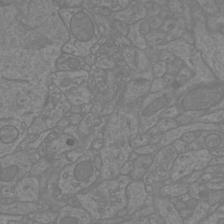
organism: Mouse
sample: Cortical neurons